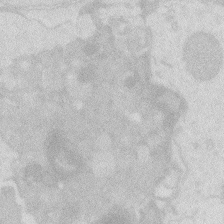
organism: Zebrafish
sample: Macrophage